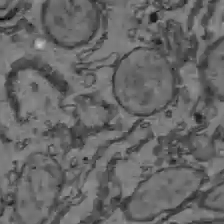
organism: C57BL Mouse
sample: Liver